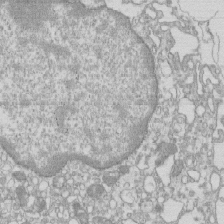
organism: Mouse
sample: Macrophages